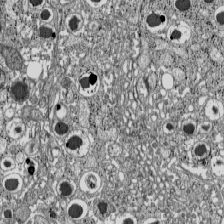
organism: C57BL Mouse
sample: Pancreatic islet